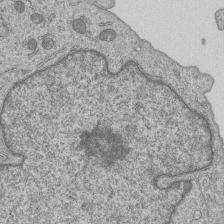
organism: Human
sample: MDA-MB-231 cells